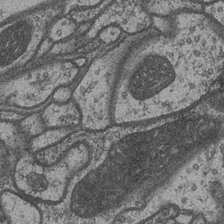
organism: Drosophila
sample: Optic medulla